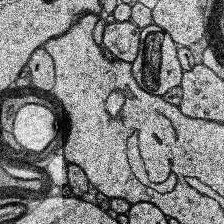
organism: Human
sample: Temporal Lobe